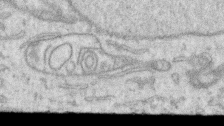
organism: Human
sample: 1205lu cells